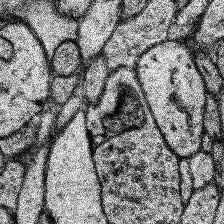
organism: Human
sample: Temporal Lobe